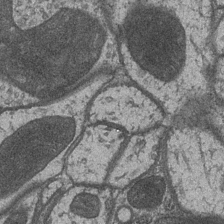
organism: Drosophila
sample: Optic medulla